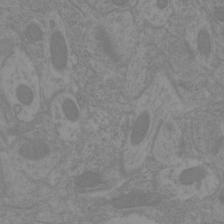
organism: Mouse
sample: Cortical neurons